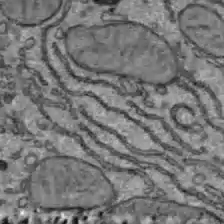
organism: C57BL Mouse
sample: Liver